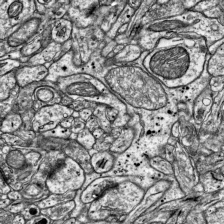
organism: Mouse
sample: Visual Cortex